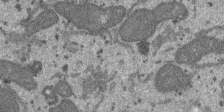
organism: Human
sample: Lung epithelial cells infected with SARS-CoV-2